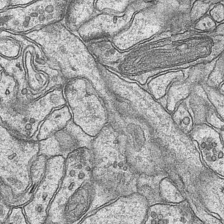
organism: Mouse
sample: CA1 Hippocampus